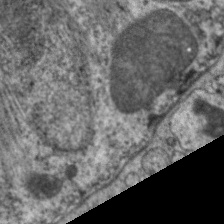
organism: C. elegans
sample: Pharynx